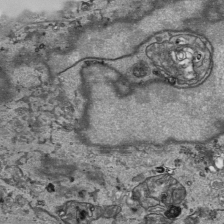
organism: Human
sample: Mitochondria in HCT116 cells